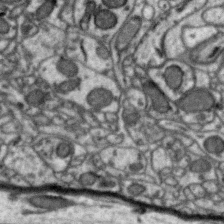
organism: Zebra finch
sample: Brain